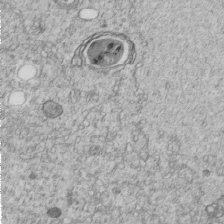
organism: C. elegans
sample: C. elegans embryo early stage